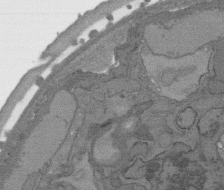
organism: C. elegans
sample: AFD neurons C. elegans